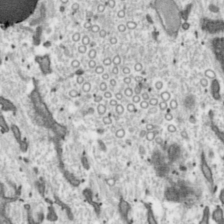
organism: Toxoplasma gondii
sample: Parasites in a vacuole inside a host cell